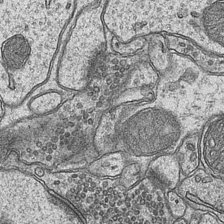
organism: Mouse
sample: CA1 Hippocampus